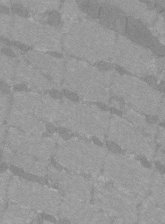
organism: C57BL Mouse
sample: Tibialis anterior muscle cell